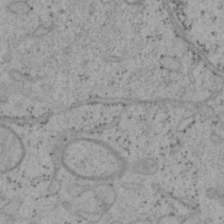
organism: Human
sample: HeLa cells